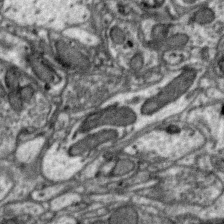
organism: Zebra finch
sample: Brain